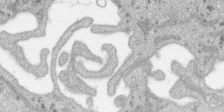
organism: Human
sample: Lung epithelial cells infected with SARS-CoV-2